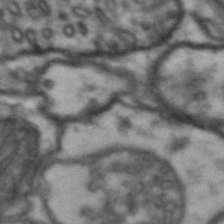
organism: Drosophila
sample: Brain